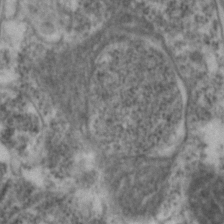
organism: Zebrafish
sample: Zebrafish embryo